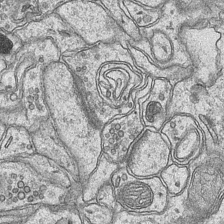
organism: Mouse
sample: CA1 Hippocampus